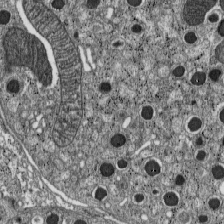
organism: C57BL Mouse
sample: Pancreatic islet